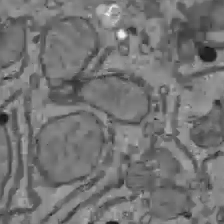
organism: C57BL Mouse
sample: Liver